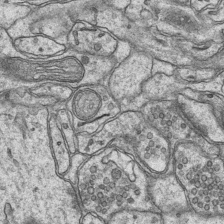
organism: Mouse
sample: CA1 Hippocampus